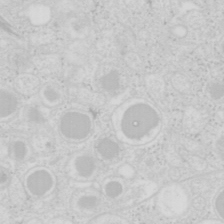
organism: Mouse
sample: Pancreas